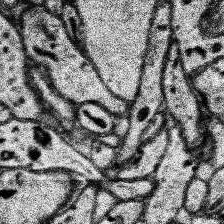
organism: Human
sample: Temporal Lobe